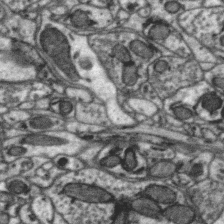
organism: Zebra finch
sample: Brain